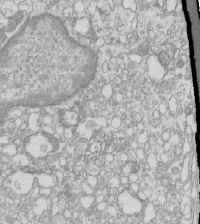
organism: Mouse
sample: Macrophages